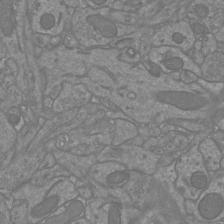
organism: Mouse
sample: Cortical neurons